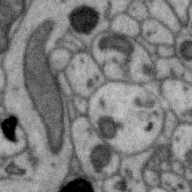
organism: Zebra finch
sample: Brain